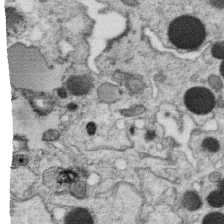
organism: C. elegans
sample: C. elegans oocyte; sperm cells